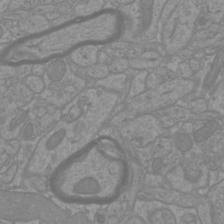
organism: Mouse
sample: Cortical neurons